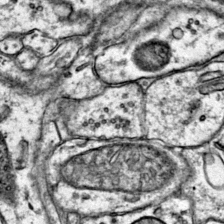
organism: Mouse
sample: Primary visual cortex